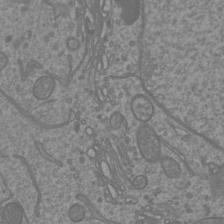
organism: Mouse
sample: Cortical neurons